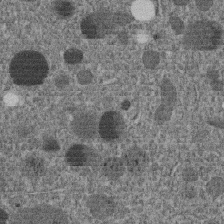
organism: C. elegans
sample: C. elegans embryo early stage